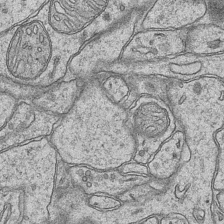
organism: Mouse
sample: CA1 Hippocampus